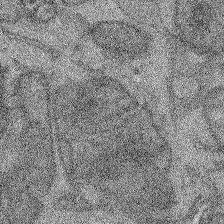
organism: Human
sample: HeLa cells